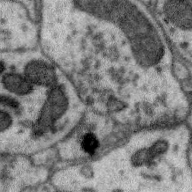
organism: Zebra finch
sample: Brain